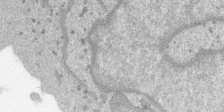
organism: Human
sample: Lung epithelial cells infected with SARS-CoV-2